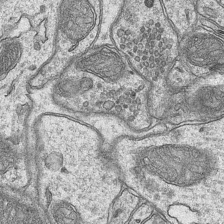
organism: Mouse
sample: CA1 Hippocampus